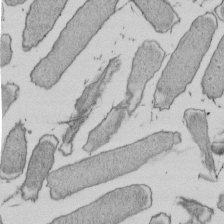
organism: E. coli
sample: Bacterial nucleoid